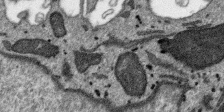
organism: Human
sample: Lung epithelial cells, uninfected (mock) control